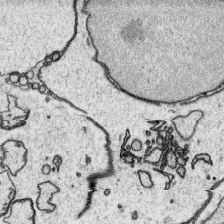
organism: Platynereis dumerilii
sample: Parapodia